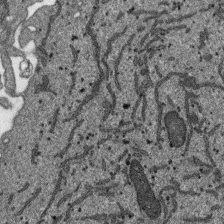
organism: Human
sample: Lung epithelial cells infected with SARS-CoV-2